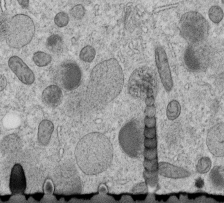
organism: C. elegans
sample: C. elegans embryo early stage